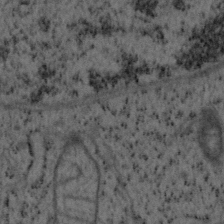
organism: Human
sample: HeLa cells